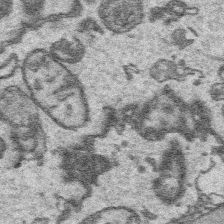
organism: Platynereis dumerilii